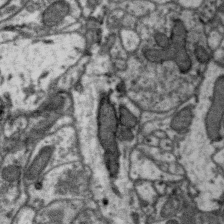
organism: Zebra finch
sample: Brain